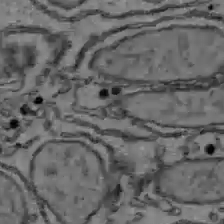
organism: C57BL Mouse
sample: Liver